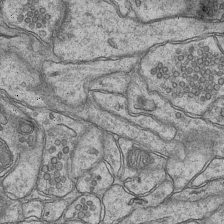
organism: Mouse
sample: CA1 Hippocampus